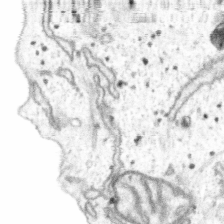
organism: Human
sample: HeLa cells